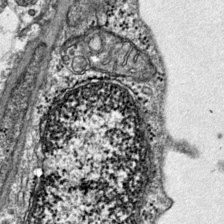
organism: Mouse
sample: Primary visual cortex